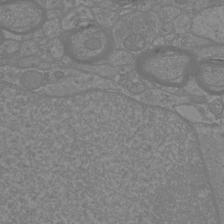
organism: Mouse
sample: Cortical neurons